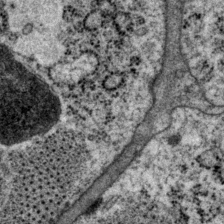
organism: P. pacificus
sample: Pharynx